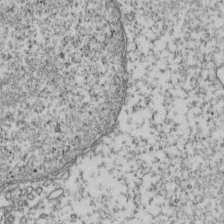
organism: Human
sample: Activated Jurkat CD4+ T cells